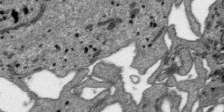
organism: Human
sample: Lung epithelial cells, uninfected (mock) control